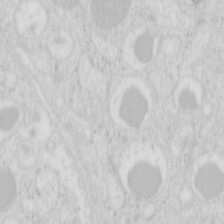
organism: Mouse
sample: Pancreas